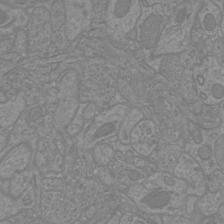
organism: Mouse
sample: Cortical neurons